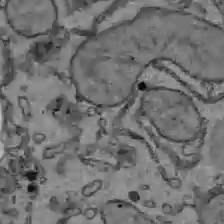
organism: C57BL Mouse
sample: Liver